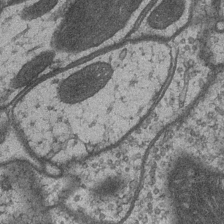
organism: Drosophila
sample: Optic medulla